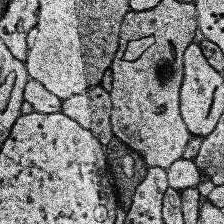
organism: Human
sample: Temporal Lobe